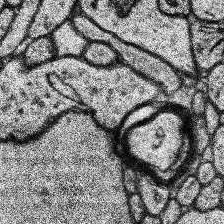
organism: Human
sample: Temporal Lobe